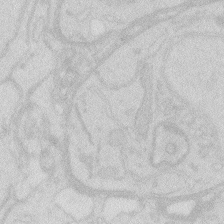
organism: Zebrafish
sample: Macrophage